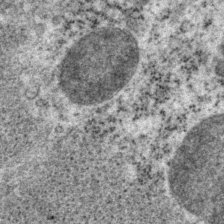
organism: P. pacificus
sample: Pharynx